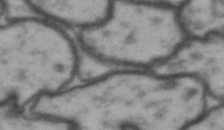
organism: Drosophila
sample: Brain